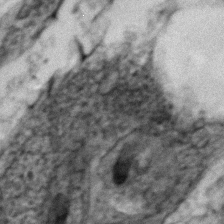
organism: Zebrafish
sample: Zebrafish embryo